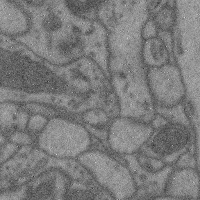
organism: Mouse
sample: Cerebral cortex